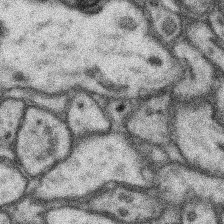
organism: Mouse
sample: Somatosensory cortex neuropil